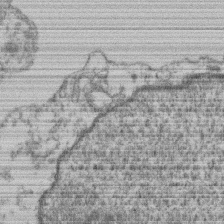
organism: Mouse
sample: T cell stromal cell synapse